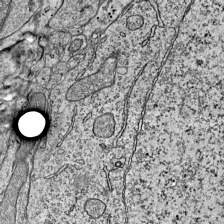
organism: Mouse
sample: Visual Cortex